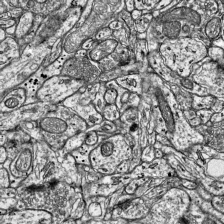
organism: Mouse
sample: Visual Cortex